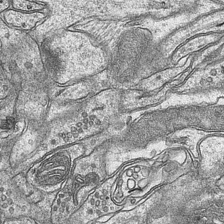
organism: Mouse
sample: CA1 Hippocampus